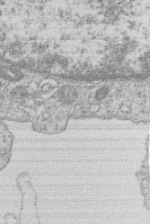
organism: Human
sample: Macrophage cells